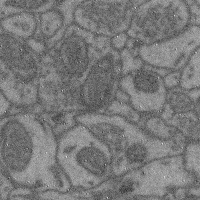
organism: Mouse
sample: Cerebral cortex